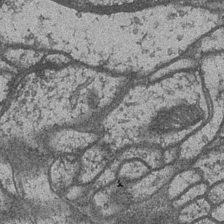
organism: Drosophila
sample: Optic medulla